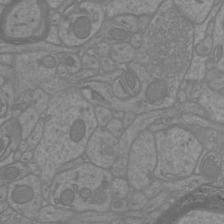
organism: Mouse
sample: Cortical neurons